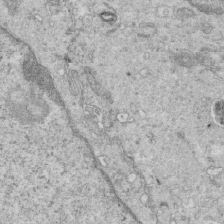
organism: Mouse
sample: Multiciliated cells